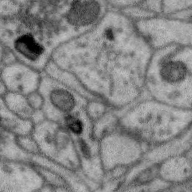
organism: Zebra finch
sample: Brain